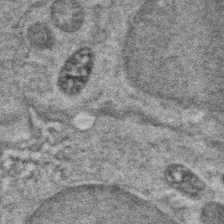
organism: Zebrafish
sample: Zebrafish embryo